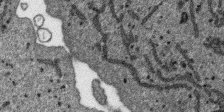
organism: Human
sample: Lung epithelial cells infected with SARS-CoV-2